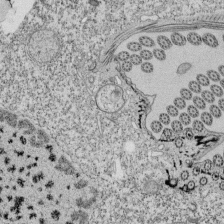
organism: Tetrahymena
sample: Cilia in tetrahymena